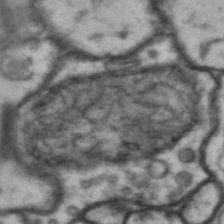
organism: Drosophila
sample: Brain